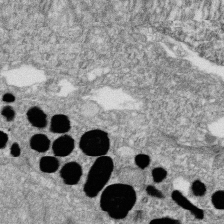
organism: Zebrafish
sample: Cilia; retinal pigment epithelium